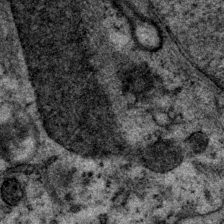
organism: P. pacificus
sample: Pharynx